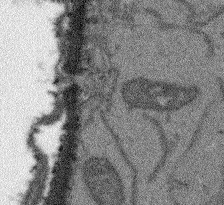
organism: Arabidopsis thaliana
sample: Root tip